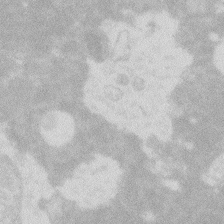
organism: Zebrafish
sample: Macrophage